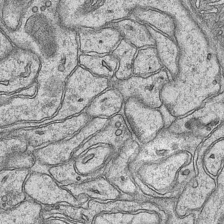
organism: Mouse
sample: CA1 Hippocampus